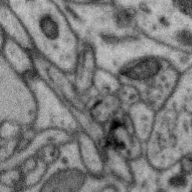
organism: Zebra finch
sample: Brain